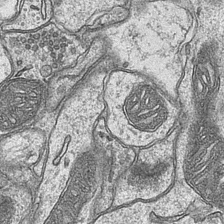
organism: Mouse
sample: CA1 Hippocampus